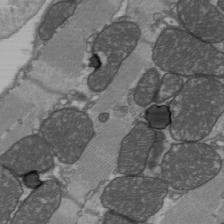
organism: C57BL Mouse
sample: Heart